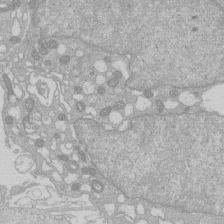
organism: Human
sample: Macrophage cells